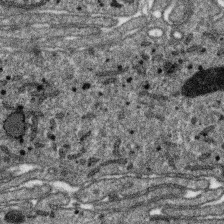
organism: Human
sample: Lung epithelial cells infected with SARS-CoV-2